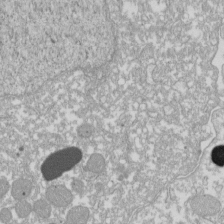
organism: Xenopus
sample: Cilia; centrioles in frog embryo cells